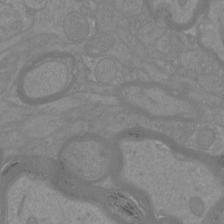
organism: Mouse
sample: Cortical neurons